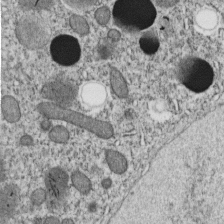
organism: C. elegans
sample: C. elegans embryo early stage